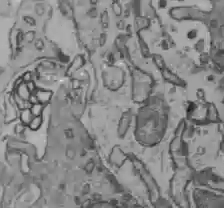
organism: C57BL Mouse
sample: Liver